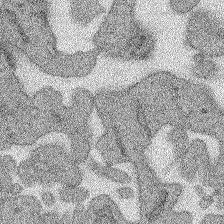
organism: Human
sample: HeLa cells